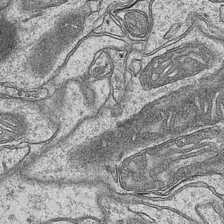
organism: Mouse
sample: CA1 Hippocampus